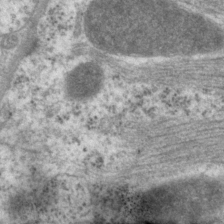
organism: P. pacificus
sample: Pharynx